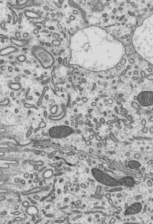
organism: Mouse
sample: Mouse epididymis efferent ductule cilia